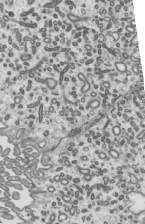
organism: Mouse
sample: Mouse epididymis efferent ductule cilia